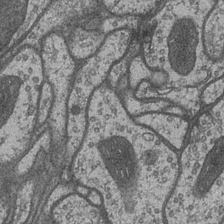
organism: Drosophila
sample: Optic medulla